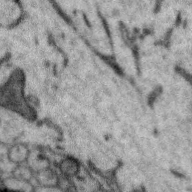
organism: Zebra finch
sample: Brain